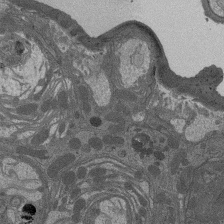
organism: Drosophila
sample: Antenna